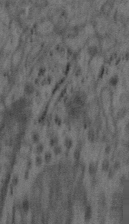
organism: Human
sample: HeLa cells